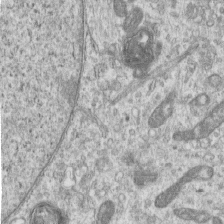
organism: Human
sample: Centriole in RPE cells